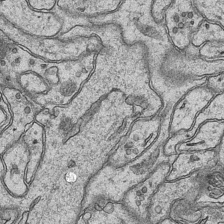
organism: Mouse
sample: CA1 Hippocampus